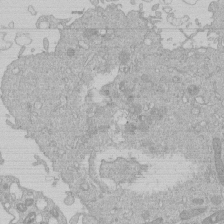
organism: Human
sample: Macrophage cells